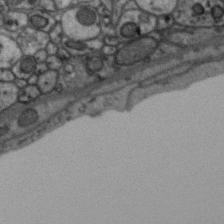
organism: Zebra finch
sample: Brain